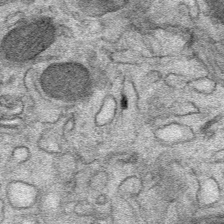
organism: Mouse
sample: Mouse Salivary gland